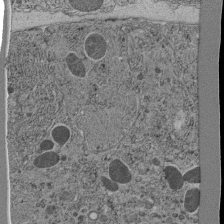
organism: C. elegans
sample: C. elegans pharynx